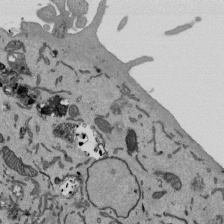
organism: Mouse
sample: ED-1 cell nuclei; centrioles